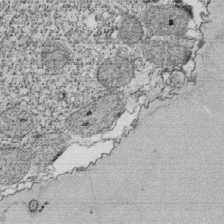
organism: Tetrahymena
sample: Cilia in tetrahymena